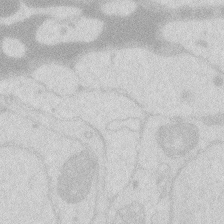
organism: Zebrafish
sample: Macrophage